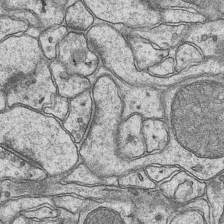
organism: Mouse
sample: CA1 Hippocampus